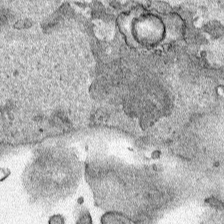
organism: Human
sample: Mitochondria in HCT116 cells